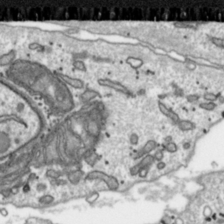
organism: Toxoplasma gondii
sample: Parasites in a vacuole inside a host cell